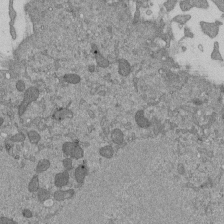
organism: Mouse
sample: ED-1 cell nuclei; centrioles